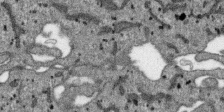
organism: Human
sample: Lung epithelial cells, uninfected (mock) control